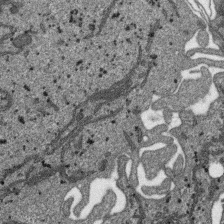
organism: Human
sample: Lung epithelial cells infected with SARS-CoV-2